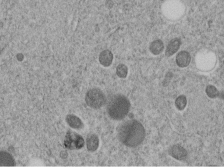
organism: C. elegans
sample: C. elegans embryo early stage